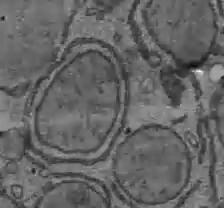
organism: C57BL Mouse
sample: Liver